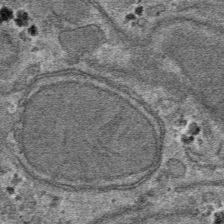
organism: Mouse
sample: Mouse hepatocytes